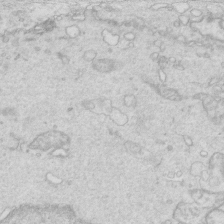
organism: Mouse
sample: Multiciliated cells